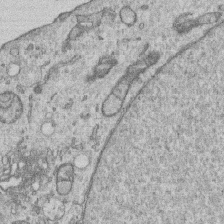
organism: Human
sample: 1205lu cells